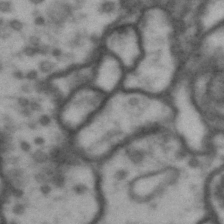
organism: Drosophila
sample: Brain